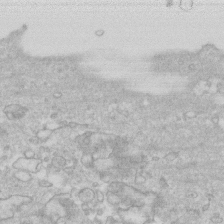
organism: Human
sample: Fibroblast cells